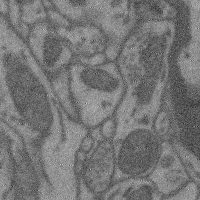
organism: Mouse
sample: Cerebral cortex